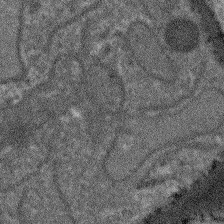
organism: Arabidopsis thaliana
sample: Root tip